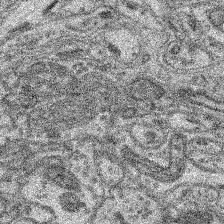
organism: Mouse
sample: Retina